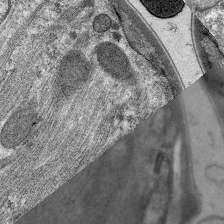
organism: C. elegans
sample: Pharynx